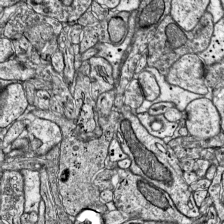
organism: Mouse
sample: Visual Cortex